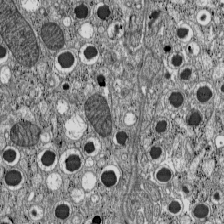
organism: C57BL Mouse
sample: Pancreatic islet